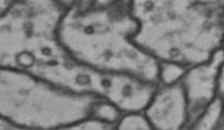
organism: Drosophila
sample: Brain